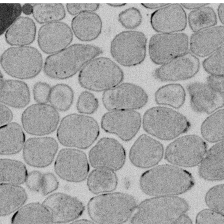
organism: E. coli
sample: Bacterial nucleoid